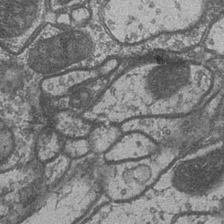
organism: Drosophila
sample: Optic medulla